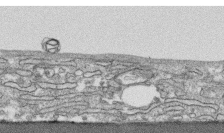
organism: Human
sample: CRL-1474